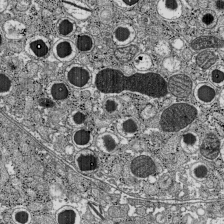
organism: C57BL Mouse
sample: Pancreatic islet